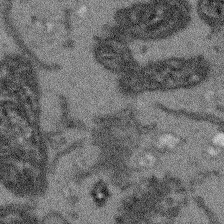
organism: Arabidopsis thaliana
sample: Root tip